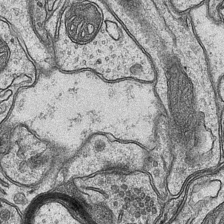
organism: Mouse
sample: CA1 Hippocampus